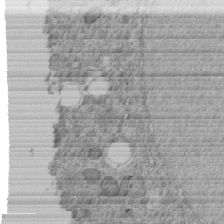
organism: C. elegans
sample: C. elegans embryo early stage